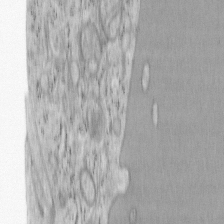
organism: Human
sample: HeLa cells